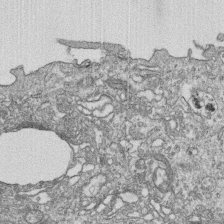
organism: Human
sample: HeLa cell HIV synapse